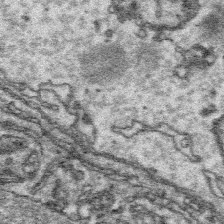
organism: Platynereis dumerilii